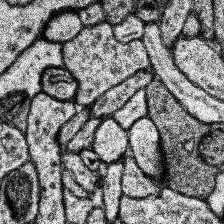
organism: Human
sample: Temporal Lobe